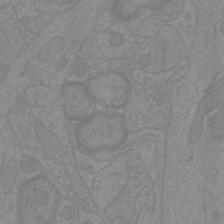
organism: Mouse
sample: Cortical neurons